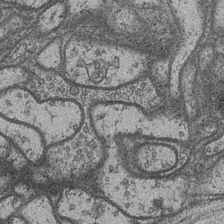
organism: Drosophila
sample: Optic medulla